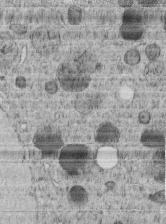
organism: C. elegans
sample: C. elegans embryo early stage